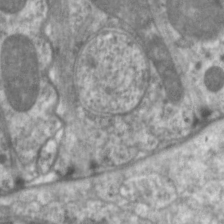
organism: C. elegans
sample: Pharynx